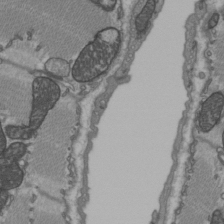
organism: C57BL Mouse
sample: Heart